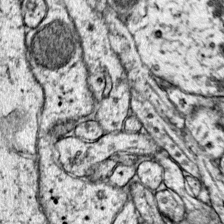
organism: Mouse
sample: Primary visual cortex